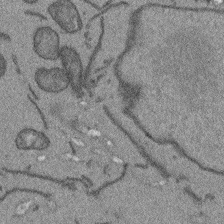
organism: Arabidopsis thaliana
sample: Root tip